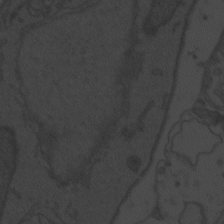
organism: Zebrafish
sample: Macrophage infected with Toxoplasma gondii